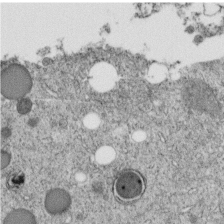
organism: C. elegans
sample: C. elegans embryo early stage